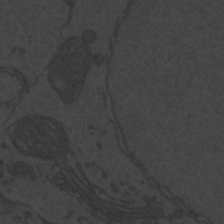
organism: Zebrafish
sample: Macrophage infected with Toxoplasma gondii